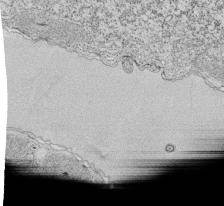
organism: Tetrahymena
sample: Cilia in tetrahymena